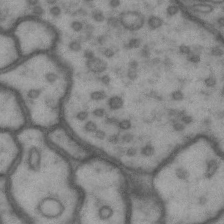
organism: Drosophila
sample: Brain